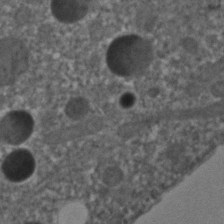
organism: C. elegans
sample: C. elegans embryo